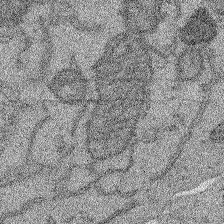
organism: Human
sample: HeLa cells